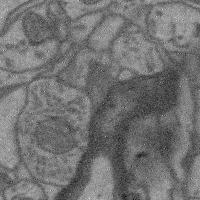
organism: Mouse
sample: Cerebral cortex